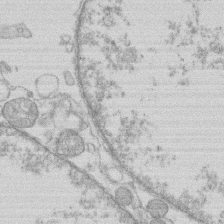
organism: Human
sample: Macrophage cells